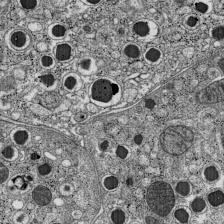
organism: C57BL Mouse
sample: Pancreatic islet